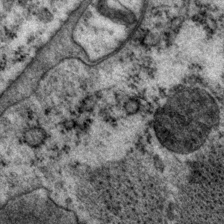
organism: P. pacificus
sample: Pharynx